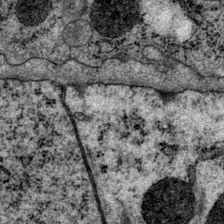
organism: P. pacificus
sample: Pharynx